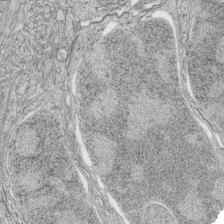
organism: Zebrafish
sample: synaptic ribbons in rod cells and cone cells